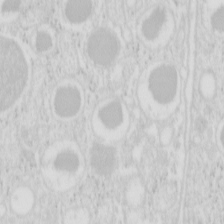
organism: Mouse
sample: Pancreas